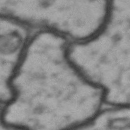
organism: Drosophila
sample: Brain